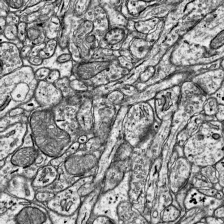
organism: Mouse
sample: Visual Cortex